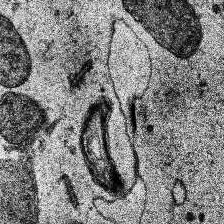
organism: Human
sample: Temporal Lobe